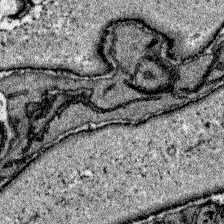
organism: Zebrafish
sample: Larval olfactory bulb